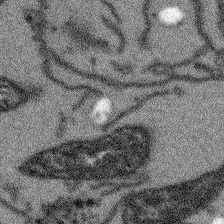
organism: Arabidopsis thaliana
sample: Root tip